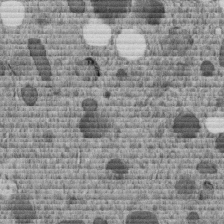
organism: C. elegans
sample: C. elegans embryo early stage